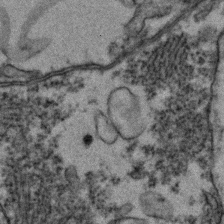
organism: Zebrafish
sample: Zebrafish embryo